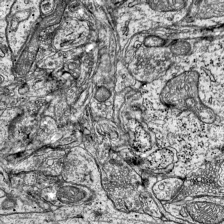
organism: Mouse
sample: Visual Cortex